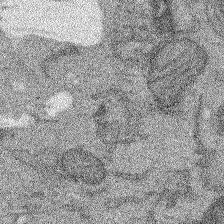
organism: Human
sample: HeLa cells